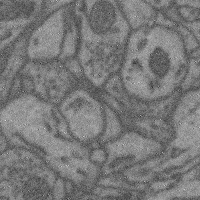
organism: Mouse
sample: Cerebral cortex